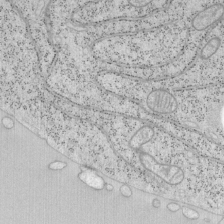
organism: Mouse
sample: OT-I killer T cells with ID8 ovarian cancer cells